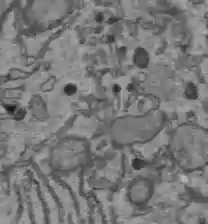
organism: C57BL Mouse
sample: Liver